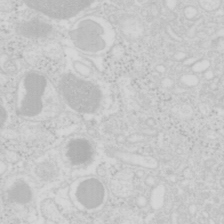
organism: Mouse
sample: Pancreas